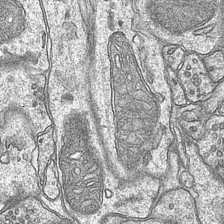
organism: Mouse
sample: CA1 Hippocampus